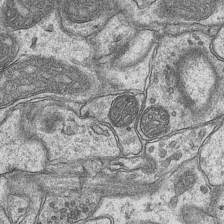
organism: Mouse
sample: CA1 Hippocampus